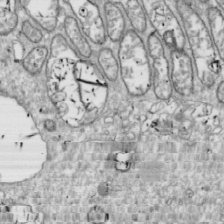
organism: Drosophila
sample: Cell division; meiosis; drosophila spermatocytes